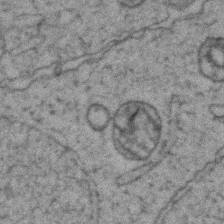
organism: Zebrafish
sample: Zebrafish embryo